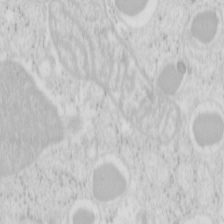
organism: Mouse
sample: Pancreas